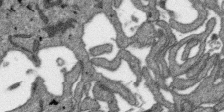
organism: Human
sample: Lung epithelial cells, uninfected (mock) control